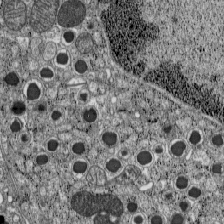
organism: C57BL Mouse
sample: Pancreatic islet